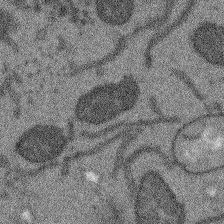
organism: Arabidopsis thaliana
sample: Root tip